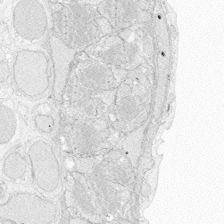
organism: Zebrafish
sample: Whole-Brain